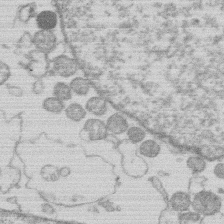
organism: Human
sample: Macrophage cells